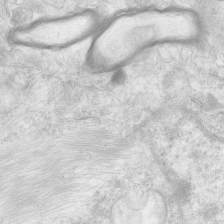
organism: Human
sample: Neocortex